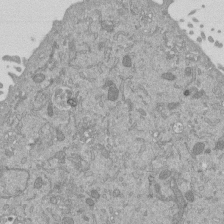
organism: Mouse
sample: ED-1 cell nuclei; centrioles